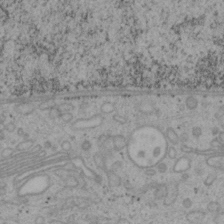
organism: Human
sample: HeLa cells